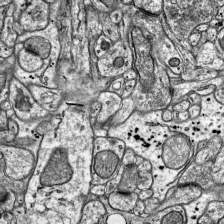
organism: Mouse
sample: Visual Cortex